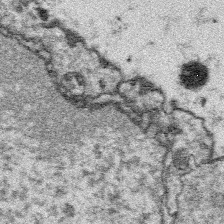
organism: Platynereis dumerilii